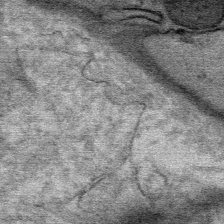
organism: Mouse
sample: Mouse Salivary gland